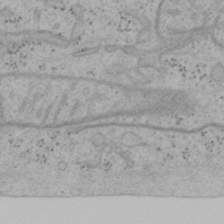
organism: Human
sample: HeLa cells